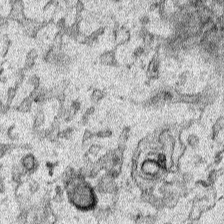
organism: Human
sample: Mitochondria in HCT116 cells